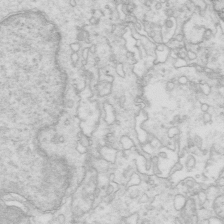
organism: Mouse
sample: Multiciliated cells